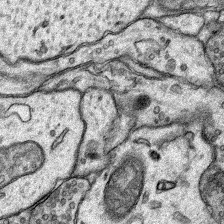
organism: Rat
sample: Hippocampus